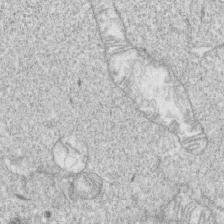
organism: Human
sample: HeLa cell HIV synapse